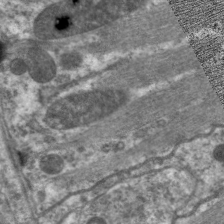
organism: C. elegans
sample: Pharynx